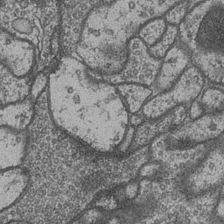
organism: Drosophila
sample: Optic medulla